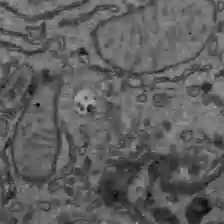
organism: C57BL Mouse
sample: Liver